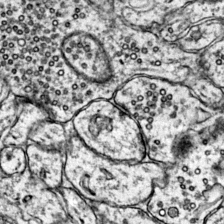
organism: Mouse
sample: Primary visual cortex